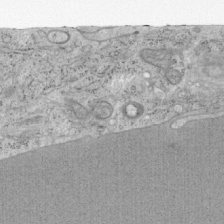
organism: Human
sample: HeLa cells